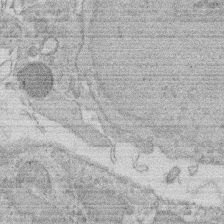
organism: Rat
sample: Salivary granule